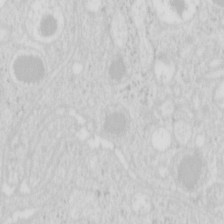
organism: Mouse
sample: Pancreas